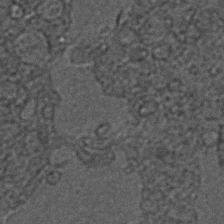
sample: Trachea